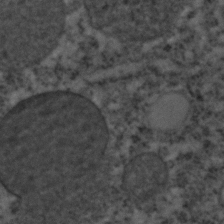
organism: C. elegans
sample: C. elegans embryo